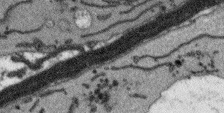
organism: Arabidopsis thaliana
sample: Root tip